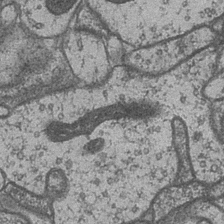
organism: Drosophila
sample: Optic medulla